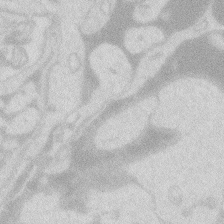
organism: Zebrafish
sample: Macrophage